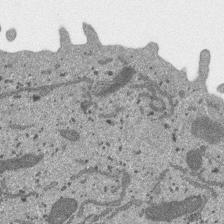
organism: Human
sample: Lung epithelial cells infected with SARS-CoV-2